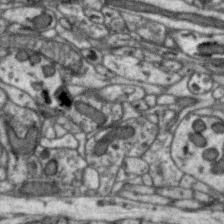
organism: Zebra finch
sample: Brain